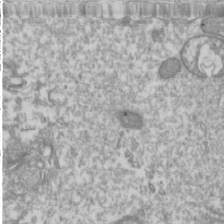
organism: Drosophila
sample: Cell division; meiosis; drosophila spermatocytes